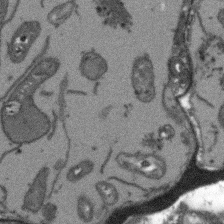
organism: Arabidopsis thaliana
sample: Root tip